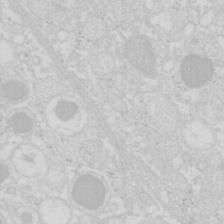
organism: Mouse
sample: Pancreas